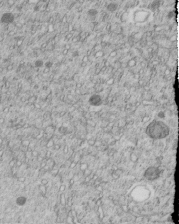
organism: C. elegans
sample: C. elegans embryo early stage